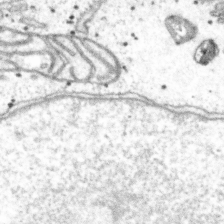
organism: Human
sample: HeLa cells